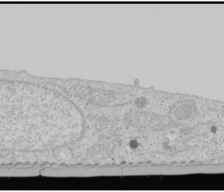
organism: Human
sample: Mitochondria in U2OS cells